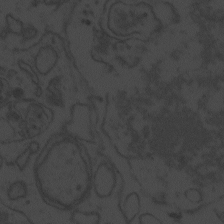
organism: Zebrafish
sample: Macrophage infected with Toxoplasma gondii